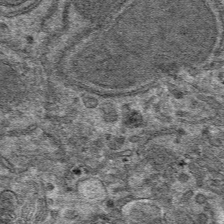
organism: Mouse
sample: Mouse hepatocytes